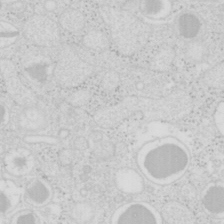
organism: Mouse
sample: Pancreas